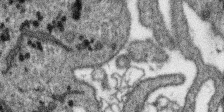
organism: Human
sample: Lung epithelial cells infected with SARS-CoV-2